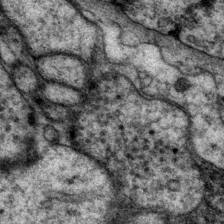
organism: P. pacificus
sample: Pharynx